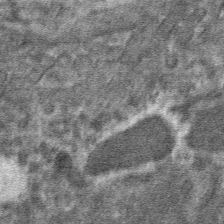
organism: Mouse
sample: Mouse hepatocytes